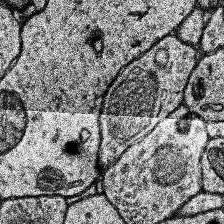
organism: Human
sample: Temporal Lobe